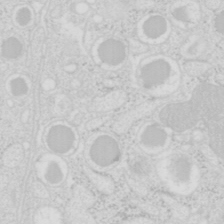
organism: Mouse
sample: Pancreas